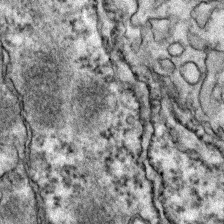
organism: Zebrafish